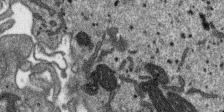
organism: Human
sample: Lung epithelial cells infected with SARS-CoV-2